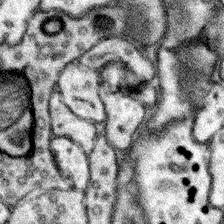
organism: Mouse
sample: Somatosensory cortex neuropil